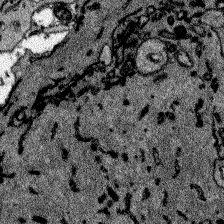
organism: Zebrafish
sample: Larval olfactory bulb